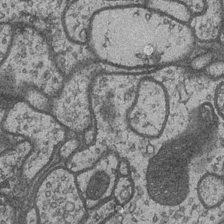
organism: Drosophila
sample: Optic medulla